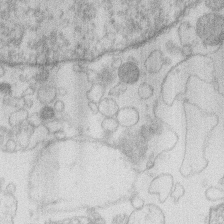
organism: Human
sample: Macrophage cells